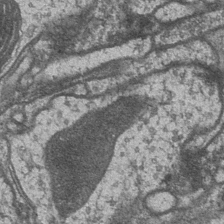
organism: Drosophila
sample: Optic medulla